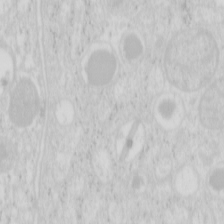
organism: Mouse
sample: Pancreas